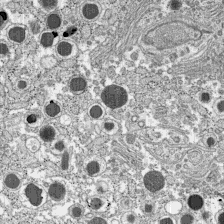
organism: C57BL Mouse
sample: Pancreatic islet